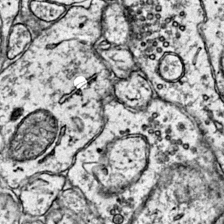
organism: Mouse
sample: Primary visual cortex